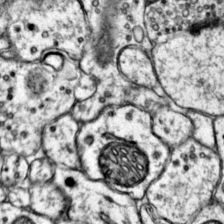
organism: Mouse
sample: Primary visual cortex